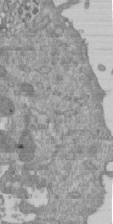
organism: Mouse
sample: ED-1 cell nuclei; centrioles